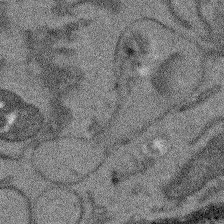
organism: Arabidopsis thaliana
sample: Root tip